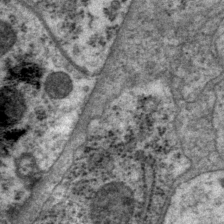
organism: P. pacificus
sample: Pharynx